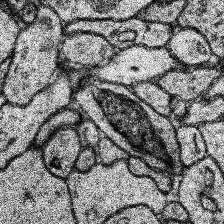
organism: Human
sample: Temporal Lobe